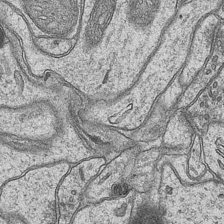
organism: Mouse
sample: CA1 Hippocampus